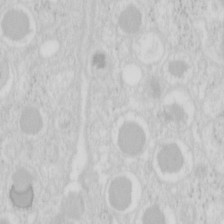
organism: Mouse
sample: Pancreas